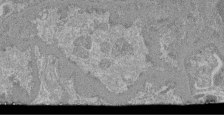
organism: Mouse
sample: Glomerulus